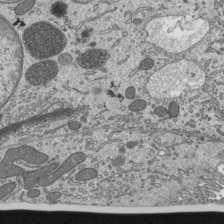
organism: Mouse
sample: Mouse epididymis efferent ductule cilia